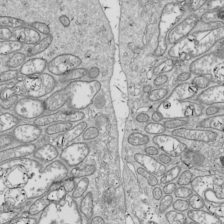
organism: Drosophila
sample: Cell division; meiosis; drosophila spermatocytes